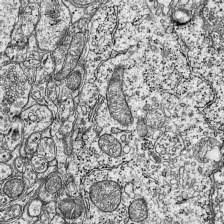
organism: Mouse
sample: Visual Cortex